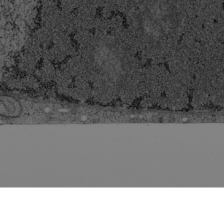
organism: African green monkey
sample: COS-7 cells